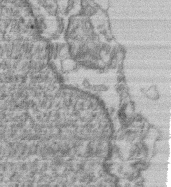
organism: Mouse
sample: T cell stromal cell synapse